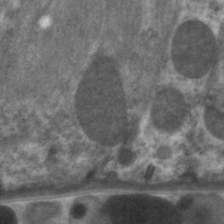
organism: C. elegans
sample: Pharynx